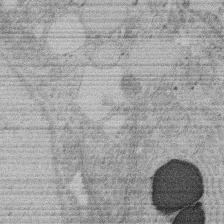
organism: Rat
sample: Salivary granule